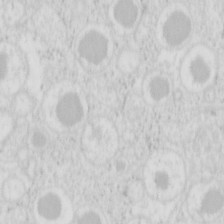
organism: Mouse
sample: Pancreas